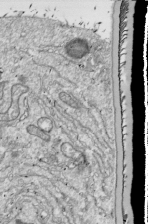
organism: Drosophila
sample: Cell division; meiosis; drosophila spermatocytes